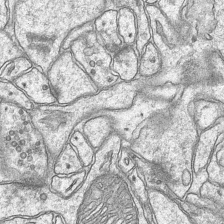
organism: Mouse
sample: CA1 Hippocampus